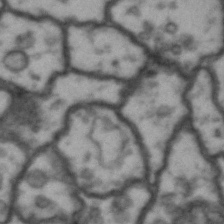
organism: Drosophila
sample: Brain